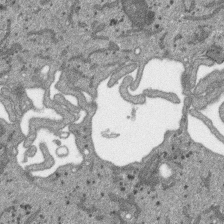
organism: Human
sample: Lung epithelial cells infected with SARS-CoV-2